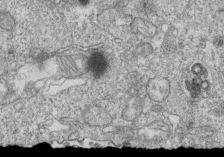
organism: Human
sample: HeLa cell HIV synapse